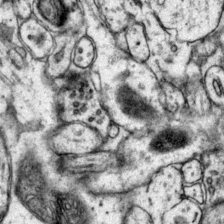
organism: Mouse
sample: Primary visual cortex